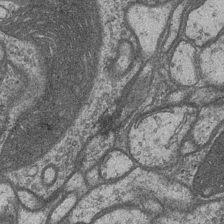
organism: Drosophila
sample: Optic medulla